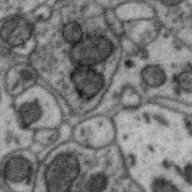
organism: Zebra finch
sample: Brain